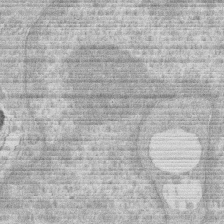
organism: Human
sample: Macrophage cells